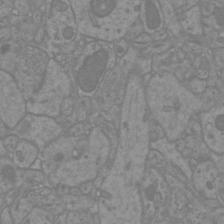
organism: Mouse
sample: Cortical neurons